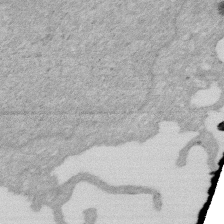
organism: Human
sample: HIV infected U937 cells